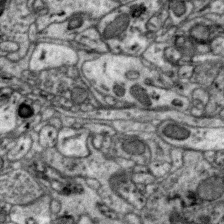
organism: Zebra finch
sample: Brain